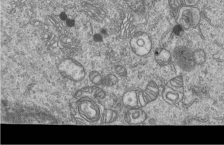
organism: Human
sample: MDA-MB-231 cells